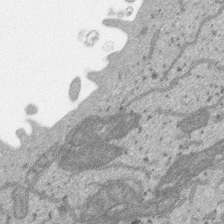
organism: Human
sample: Lung epithelial cells infected with SARS-CoV-2